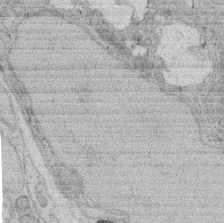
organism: Rat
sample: Salivary granule